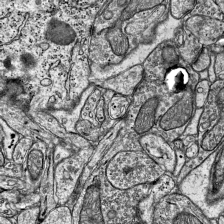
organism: Mouse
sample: Visual Cortex